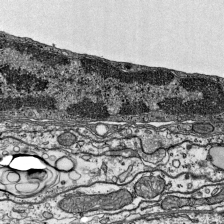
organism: Mouse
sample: Visual Cortex